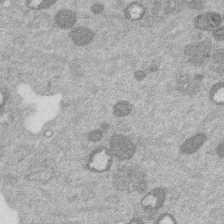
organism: Mouse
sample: Dividing mouse embryo 1 cell stage